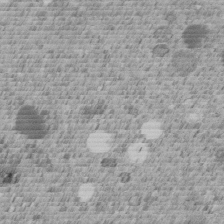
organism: C. elegans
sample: C. elegans embryo early stage